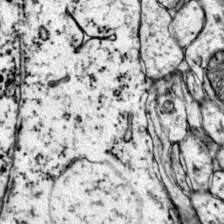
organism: Mouse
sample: Primary visual cortex